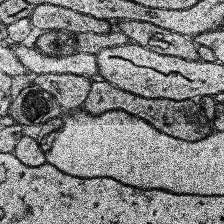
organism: Human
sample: Temporal Lobe